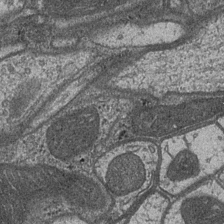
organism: Drosophila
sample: Optic medulla